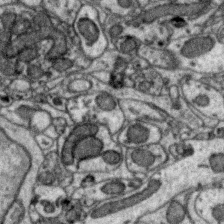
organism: Zebra finch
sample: Brain